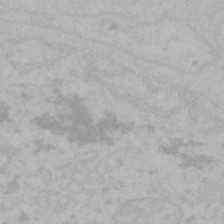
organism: Mouse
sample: Choroid plexus